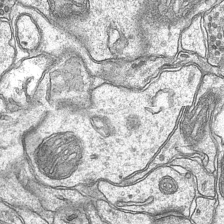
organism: Mouse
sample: CA1 Hippocampus